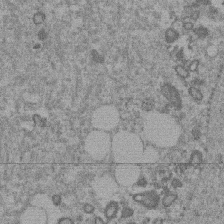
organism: Mouse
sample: Dividing mouse embryo 1 cell stage